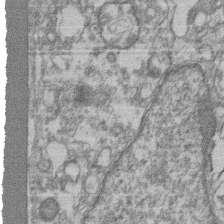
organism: Mouse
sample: T cell stromal cell synapse